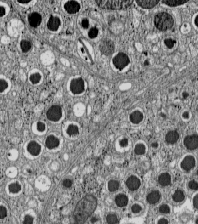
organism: C57BL Mouse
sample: Pancreatic islet